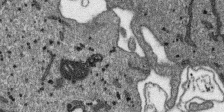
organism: Human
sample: Lung epithelial cells infected with SARS-CoV-2